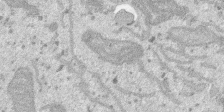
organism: Human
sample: Lung epithelial cells infected with SARS-CoV-2